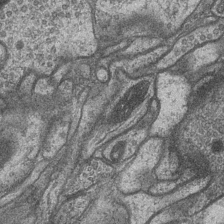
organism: Drosophila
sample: Optic medulla